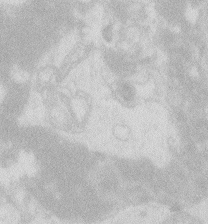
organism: Zebrafish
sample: Macrophage